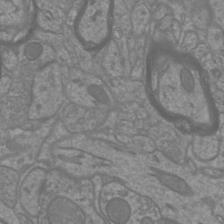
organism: Mouse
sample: Cortical neurons